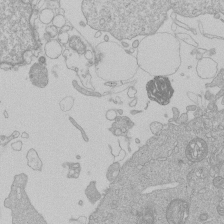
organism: Human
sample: Macrophage cells